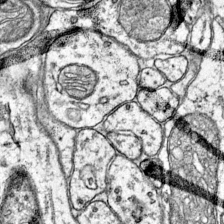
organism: Mouse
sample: Primary visual cortex